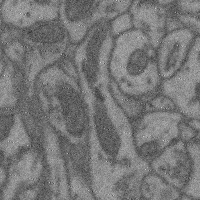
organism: Mouse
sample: Cerebral cortex